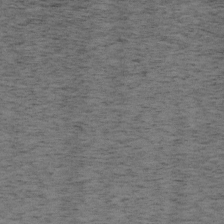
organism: Mouse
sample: OT-I killer T cells with ID8 ovarian cancer cells